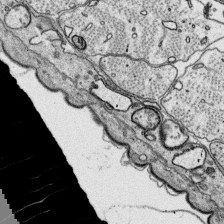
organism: Platynereis dumerilii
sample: Parapodia